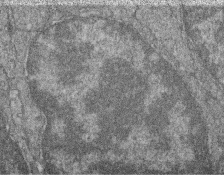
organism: Zebrafish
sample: Cilia; retinal pigment epithelium